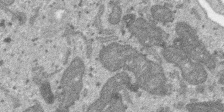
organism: Human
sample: Lung epithelial cells infected with SARS-CoV-2